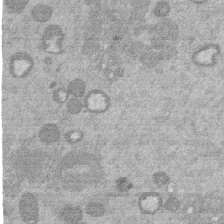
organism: Mouse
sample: Dividing mouse embryo 1 cell stage